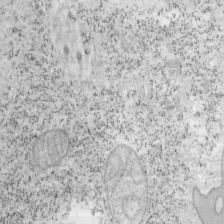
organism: Mouse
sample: OT-I killer T cells with ID8 ovarian cancer cells